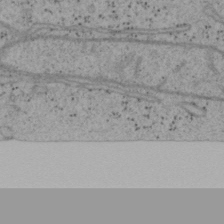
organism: Human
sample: HeLa cells